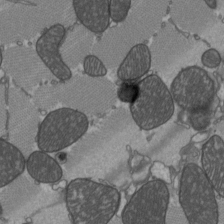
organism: C57BL Mouse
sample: Heart